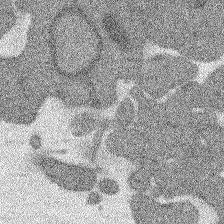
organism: Human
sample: HeLa cells